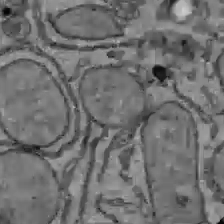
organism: C57BL Mouse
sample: Liver